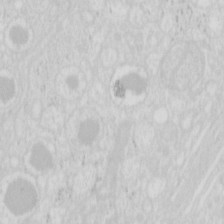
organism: Mouse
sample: Pancreas